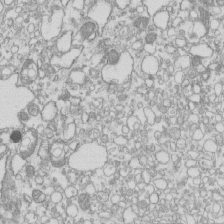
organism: Mouse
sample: Macrophages